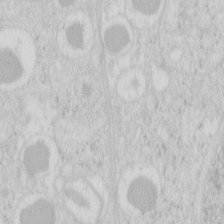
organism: Mouse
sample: Pancreas